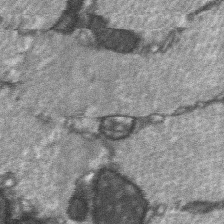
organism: C57BL Mouse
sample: Soleus